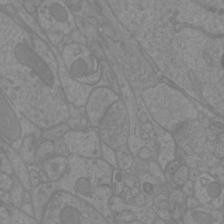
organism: Mouse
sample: Cortical neurons